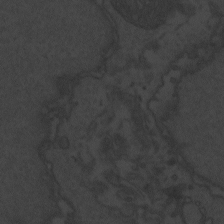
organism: Zebrafish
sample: Macrophage infected with Toxoplasma gondii